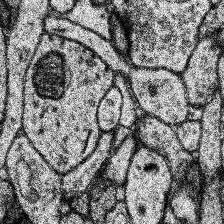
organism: Human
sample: Temporal Lobe